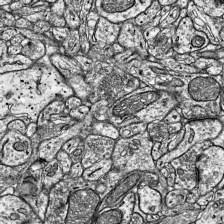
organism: Mouse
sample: Visual Cortex